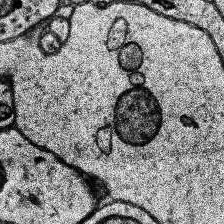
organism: Human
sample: Temporal Lobe